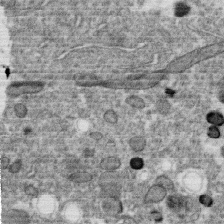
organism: C. elegans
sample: C. elegans oocyte; sperm cells